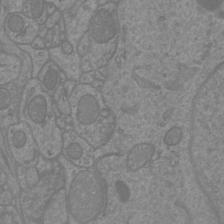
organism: Mouse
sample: Cortical neurons